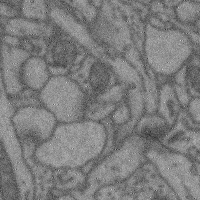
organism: Mouse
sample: Cerebral cortex